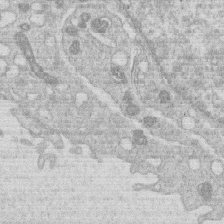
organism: Human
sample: Macrophage cells